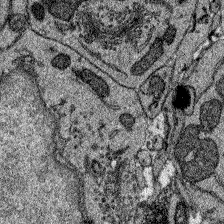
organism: Zebrafish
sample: Larval olfactory bulb